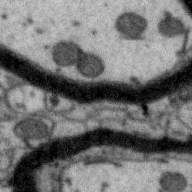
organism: Zebra finch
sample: Brain